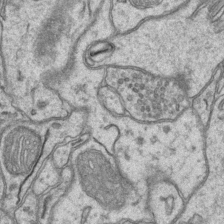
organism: Mouse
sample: CA1 Hippocampus